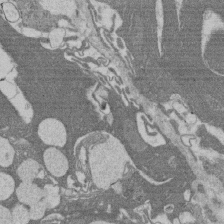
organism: Rat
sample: Salivary granule